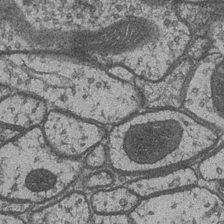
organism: Drosophila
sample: Optic medulla